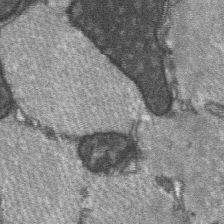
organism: C57BL Mouse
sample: Soleus